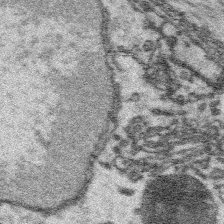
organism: Platynereis dumerilii